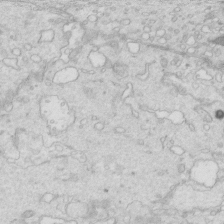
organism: Mouse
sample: Multiciliated cells